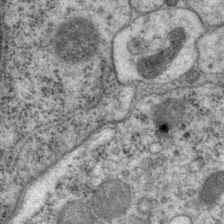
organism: P. pacificus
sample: Pharynx